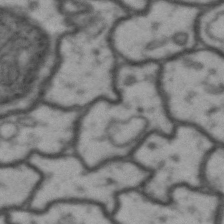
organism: Drosophila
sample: Brain